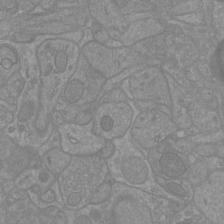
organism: Mouse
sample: Cortical neurons